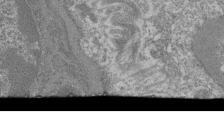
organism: Mouse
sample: Glomerulus